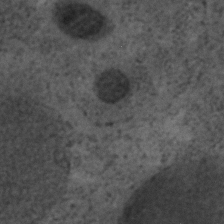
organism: C. elegans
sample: C. elegans embryo